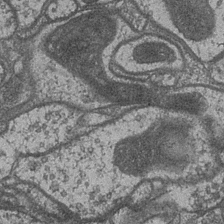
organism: Drosophila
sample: Optic medulla